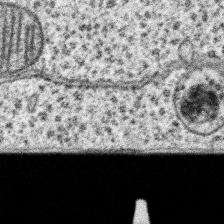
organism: Human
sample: HeLa cells